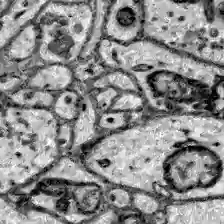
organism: Zebrafish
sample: Brain